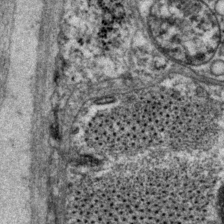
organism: P. pacificus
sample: Pharynx